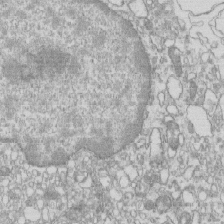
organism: Mouse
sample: Macrophages